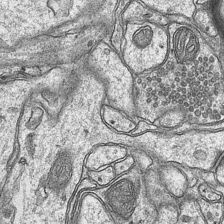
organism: Mouse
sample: CA1 Hippocampus